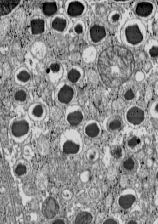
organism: C57BL Mouse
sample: Pancreatic islet